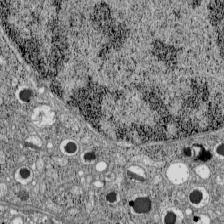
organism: C57BL Mouse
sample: Pancreatic islet